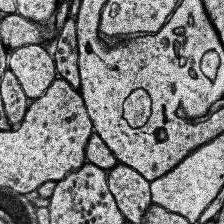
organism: Human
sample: Temporal Lobe